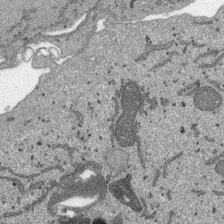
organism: Human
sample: Lung epithelial cells infected with SARS-CoV-2